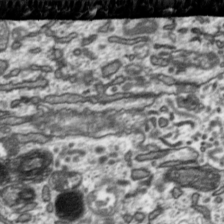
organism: Toxoplasma gondii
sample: Parasites in a vacuole inside a host cell